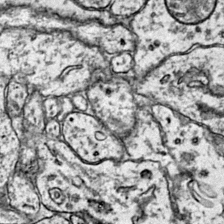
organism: Mouse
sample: Primary visual cortex